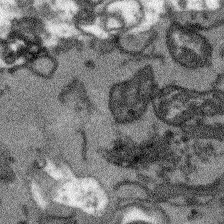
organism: Arabidopsis thaliana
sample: Root tip